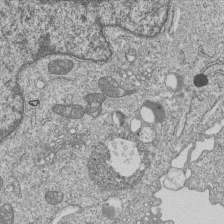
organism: Human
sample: MDA-MB-231 cells